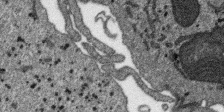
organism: Human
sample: Lung epithelial cells infected with SARS-CoV-2